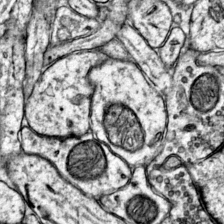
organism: Mouse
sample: Primary visual cortex